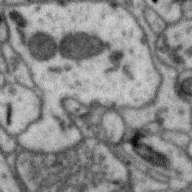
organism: Zebra finch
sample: Brain